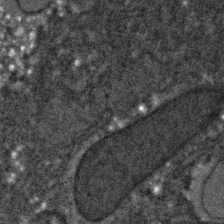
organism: C. elegans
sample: C. elegans embryo